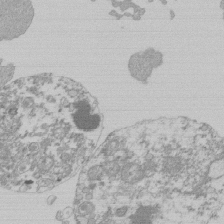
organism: Mouse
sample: Activated Pmel transgenic CD8+ T Cells